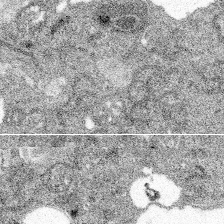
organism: Spongilla lacustris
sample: Multiple